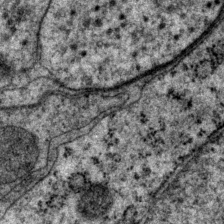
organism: P. pacificus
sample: Pharynx